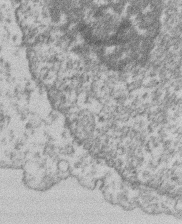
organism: Mouse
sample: T cell stromal cell synapse